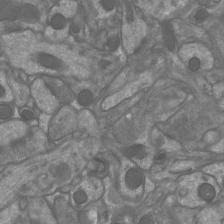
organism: Mouse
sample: Cortical neurons